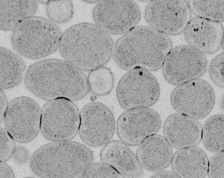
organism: E. coli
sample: Bacterial nucleoid